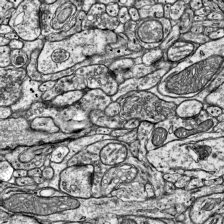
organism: Mouse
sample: Visual Cortex